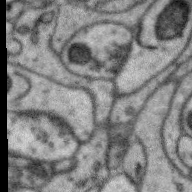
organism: Zebra finch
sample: Brain